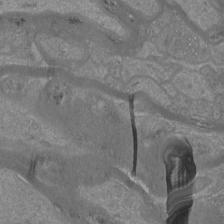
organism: Mouse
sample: Cortical neurons